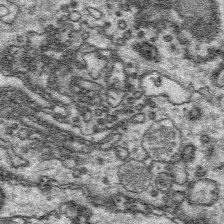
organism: Platynereis dumerilii